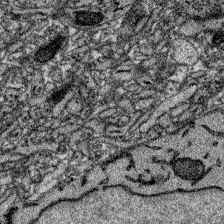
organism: Zebrafish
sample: Larval olfactory bulb